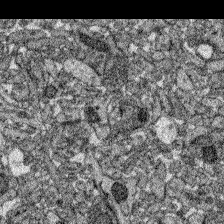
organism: Zebrafish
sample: Larval olfactory bulb